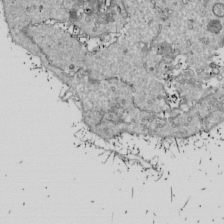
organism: Drosophila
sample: Cell division; meiosis; drosophila spermatocytes